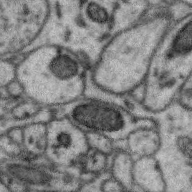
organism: Zebra finch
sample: Brain